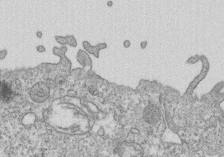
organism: Human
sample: HeLa cell HIV synapse